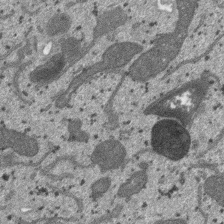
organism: Human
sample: Lung epithelial cells infected with SARS-CoV-2